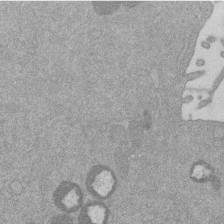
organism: Mouse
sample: Dividing mouse embryo 1 cell stage